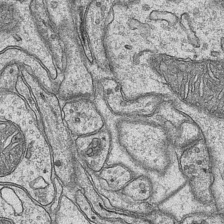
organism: Mouse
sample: CA1 Hippocampus